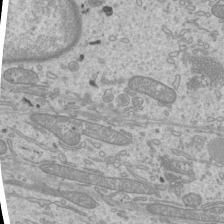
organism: Mouse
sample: Cilia; mouse epididymis